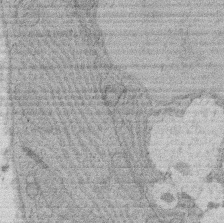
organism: Rat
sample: Salivary granule